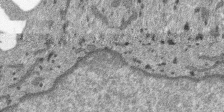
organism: Human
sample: Lung epithelial cells infected with SARS-CoV-2